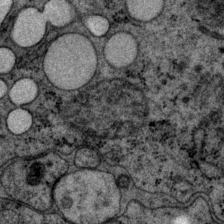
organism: P. pacificus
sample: Pharynx